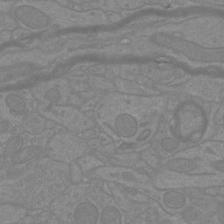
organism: Mouse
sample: Cortical neurons